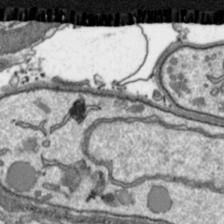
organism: Toxoplasma gondii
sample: Parasites in a vacuole inside a host cell